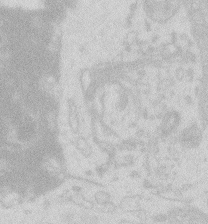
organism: Zebrafish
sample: Macrophage